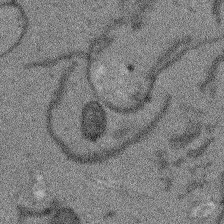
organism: Arabidopsis thaliana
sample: Root tip